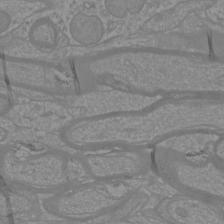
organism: Mouse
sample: Cortical neurons